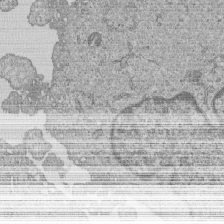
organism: Human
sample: MDA-MB-231 cells